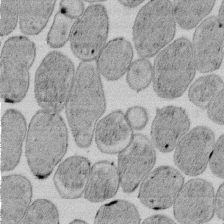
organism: E. coli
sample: Bacterial nucleoid